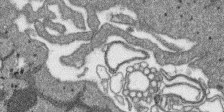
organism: Human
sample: Lung epithelial cells infected with SARS-CoV-2